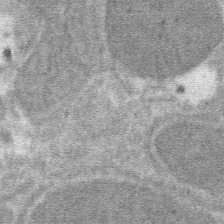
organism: Mouse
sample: Mouse hepatocytes